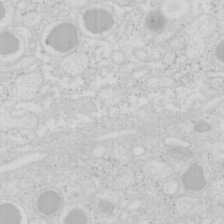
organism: Mouse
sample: Pancreas